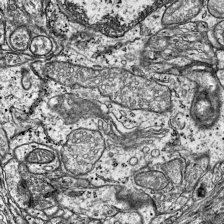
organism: Mouse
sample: Visual Cortex